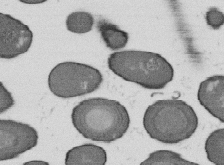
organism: B. subtilis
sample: Bacterial spore